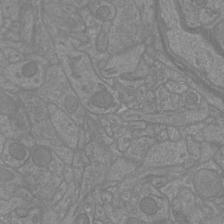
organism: Mouse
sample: Cortical neurons